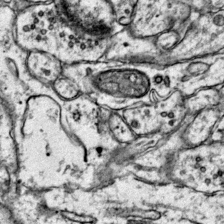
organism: Mouse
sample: Primary visual cortex